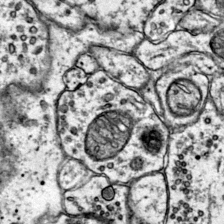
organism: Mouse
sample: Primary visual cortex